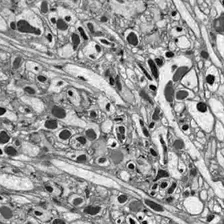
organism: Drosophila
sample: Optic lobe